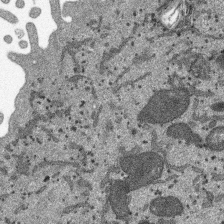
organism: Human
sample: Lung epithelial cells infected with SARS-CoV-2